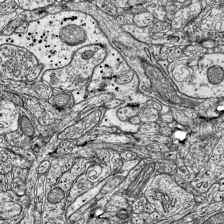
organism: Mouse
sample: Visual Cortex